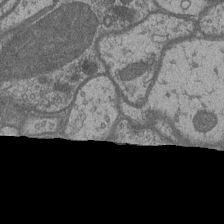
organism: Drosophila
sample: Optic medulla